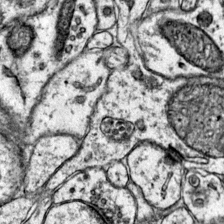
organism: Mouse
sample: Primary visual cortex